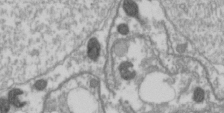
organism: Drosophila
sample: Cell division; meiosis; drosophila spermatocytes